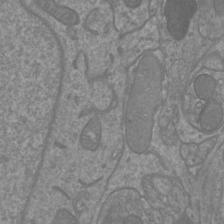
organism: Mouse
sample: Cortical neurons